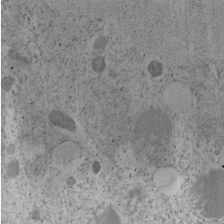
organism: C. elegans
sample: C. elegans embryo early stage